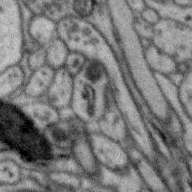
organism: Zebra finch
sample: Brain